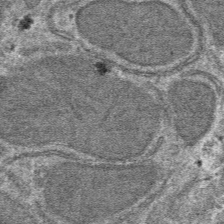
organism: Mouse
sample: Mouse hepatocytes